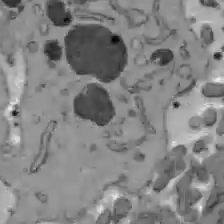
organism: C57BL Mouse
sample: Liver